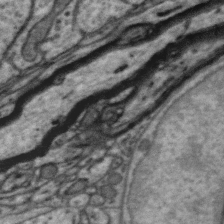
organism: Zebra finch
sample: Brain